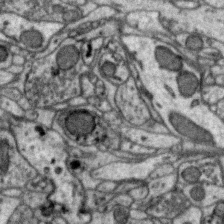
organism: Zebra finch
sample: Brain